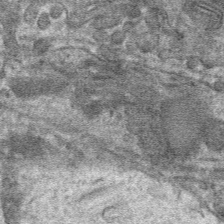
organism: Mouse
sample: Mouse hepatocytes